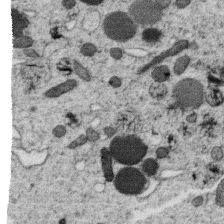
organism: C. elegans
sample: C. elegans oocyte; sperm cells